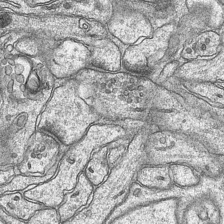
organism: Mouse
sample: CA1 Hippocampus